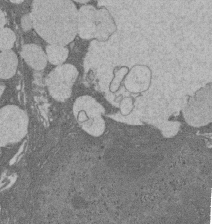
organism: Rat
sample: Salivary granule